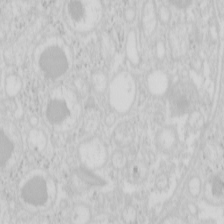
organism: Mouse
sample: Pancreas